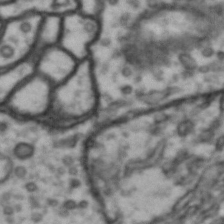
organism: Drosophila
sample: Brain